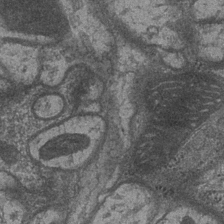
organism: Drosophila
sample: Optic medulla